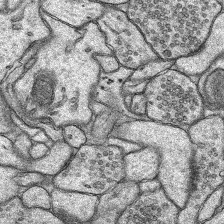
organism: Rat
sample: Hippocampus